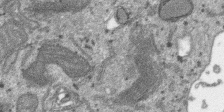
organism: Human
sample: Lung epithelial cells infected with SARS-CoV-2